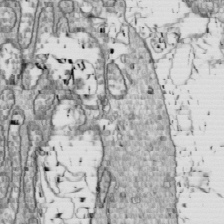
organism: Drosophila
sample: Cell division; meiosis; drosophila spermatocytes